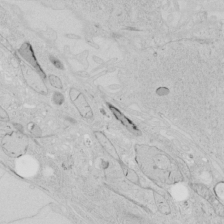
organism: Human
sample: Mitochondria in HCT116 cells